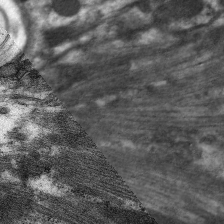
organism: C. elegans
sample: Pharynx